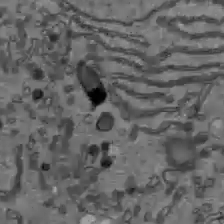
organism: C57BL Mouse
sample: Liver